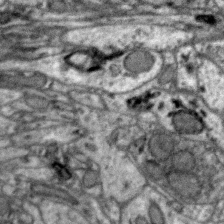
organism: Zebra finch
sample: Brain